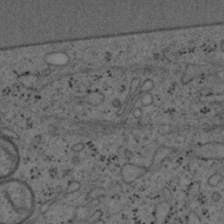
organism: Human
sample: HeLa cells